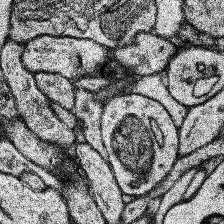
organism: Human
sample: Temporal Lobe